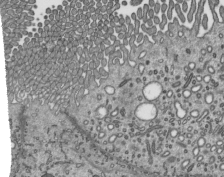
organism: Mouse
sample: Mouse epididymis efferent ductule cilia